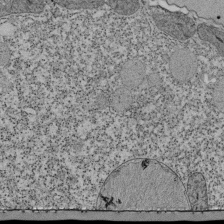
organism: Tetrahymena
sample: Cilia in tetrahymena